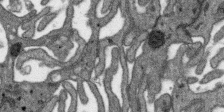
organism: Human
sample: Lung epithelial cells, uninfected (mock) control